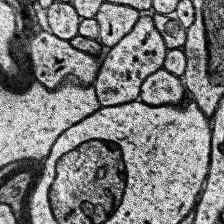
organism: Human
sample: Temporal Lobe